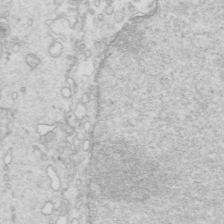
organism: Mouse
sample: Multiciliated cells